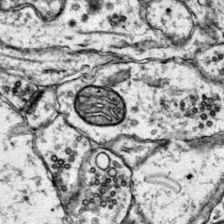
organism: Mouse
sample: Primary visual cortex